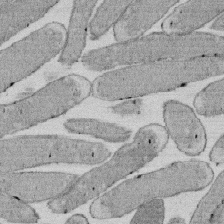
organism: E. coli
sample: Bacterial nucleoid